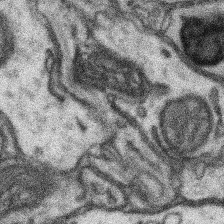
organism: Mouse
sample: Somatosensory cortex neuropil